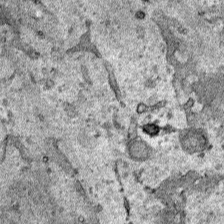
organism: Human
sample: Mitochondria in HCT116 cells